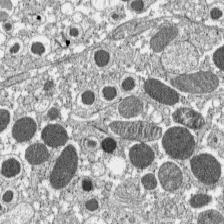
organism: C57BL Mouse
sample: Pancreatic islet